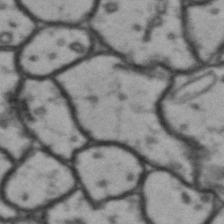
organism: Drosophila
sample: Brain